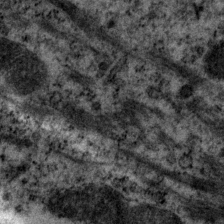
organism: P. pacificus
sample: Pharynx